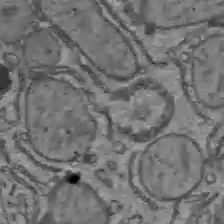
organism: C57BL Mouse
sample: Liver